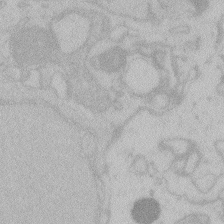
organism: Zebrafish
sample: Macrophage infected with Toxoplasma gondii